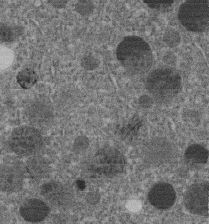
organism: C. elegans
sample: C. elegans embryo early stage